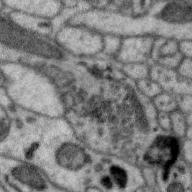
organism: Zebra finch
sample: Brain